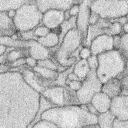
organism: Rabbit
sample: Retina